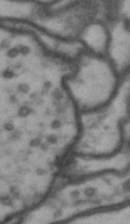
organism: Drosophila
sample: Brain